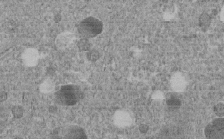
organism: C. elegans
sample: C. elegans embryo early stage